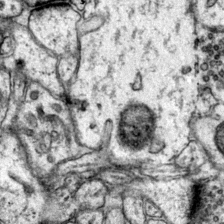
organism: Mouse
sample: Primary visual cortex